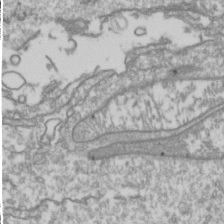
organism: Drosophila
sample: Cell division; meiosis; drosophila spermatocytes